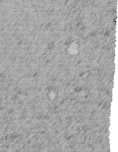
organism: C. elegans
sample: C. elegans embryo early stage